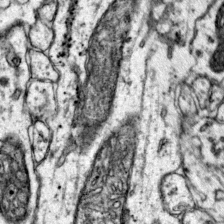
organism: Mouse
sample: Primary visual cortex